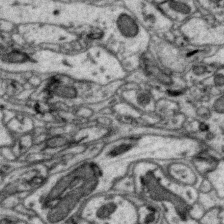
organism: Zebra finch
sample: Brain